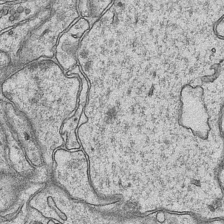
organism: Mouse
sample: CA1 Hippocampus